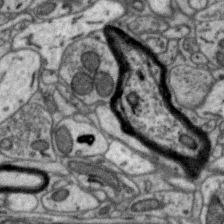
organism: Zebra finch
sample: Brain